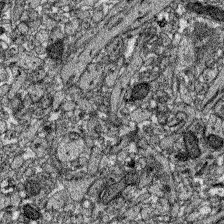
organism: Zebrafish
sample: Larval olfactory bulb